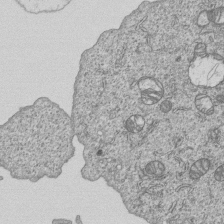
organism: Human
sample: MDA-MB-231 cells